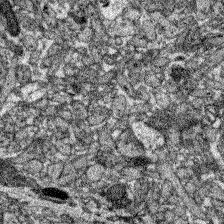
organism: Zebrafish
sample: Larval olfactory bulb